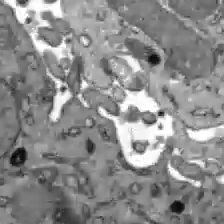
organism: C57BL Mouse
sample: Liver